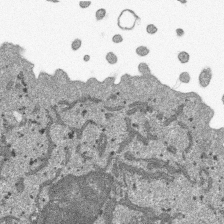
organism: Human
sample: Lung epithelial cells infected with SARS-CoV-2